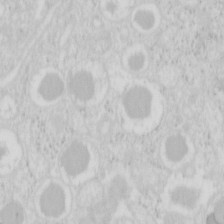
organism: Mouse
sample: Pancreas